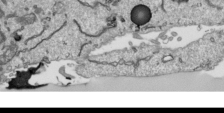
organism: Human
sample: Mitochondria in HCT116 cells